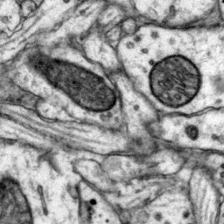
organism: Mouse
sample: Primary visual cortex